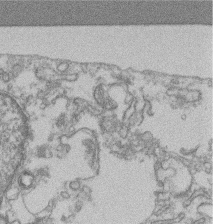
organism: Mouse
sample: T cell stromal cell synapse